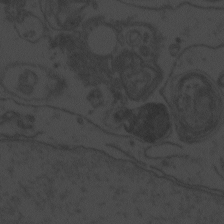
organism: Zebrafish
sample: Macrophage infected with Toxoplasma gondii